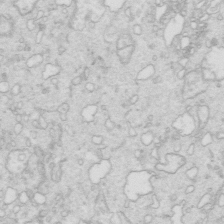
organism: Mouse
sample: Multiciliated cells